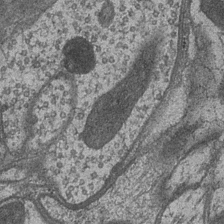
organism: Drosophila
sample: Optic medulla